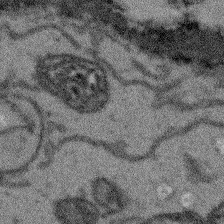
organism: Arabidopsis thaliana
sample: Root tip